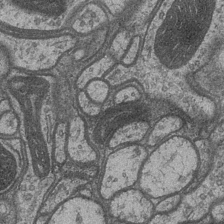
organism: Drosophila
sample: Optic medulla